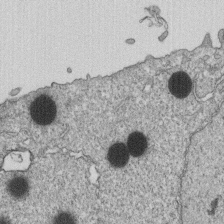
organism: Human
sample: HeLa cell HIV synapse